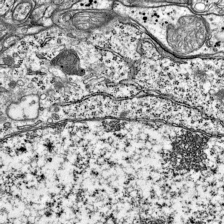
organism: Mouse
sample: Visual Cortex